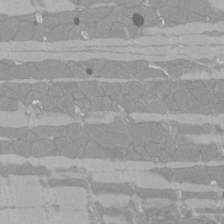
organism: Rat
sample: Left ventricle